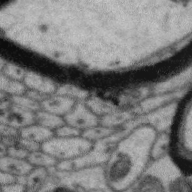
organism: Zebra finch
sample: Brain